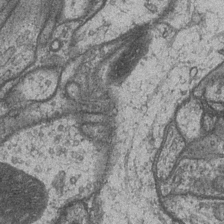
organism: Drosophila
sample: Optic medulla